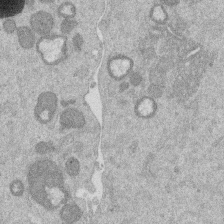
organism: Mouse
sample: Dividing mouse embryo 1 cell stage